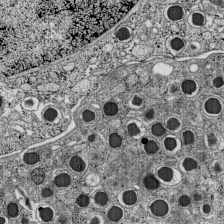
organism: C57BL Mouse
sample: Pancreatic islet